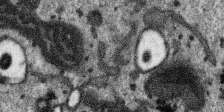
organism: Human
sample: Lung epithelial cells infected with SARS-CoV-2